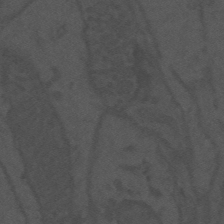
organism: Mouse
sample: Suprachiasmatic nucleus